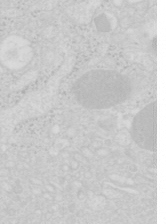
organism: Mouse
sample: Pancreas